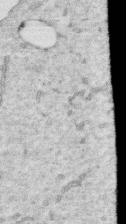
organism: Human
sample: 1205lu cells